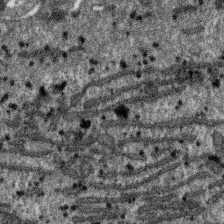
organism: Human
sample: Lung epithelial cells infected with SARS-CoV-2